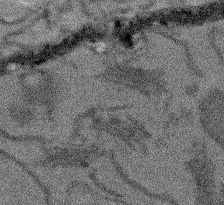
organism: Arabidopsis thaliana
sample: Root tip